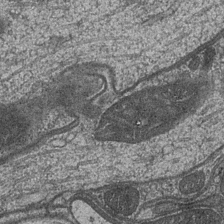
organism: Drosophila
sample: Optic medulla